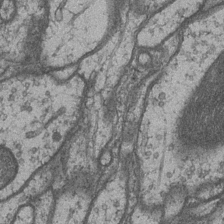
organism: Drosophila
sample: Optic medulla